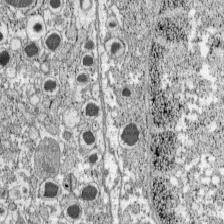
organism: C57BL Mouse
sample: Pancreatic islet